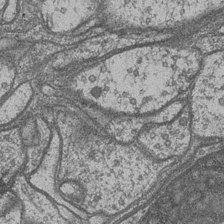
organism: Drosophila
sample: Optic medulla